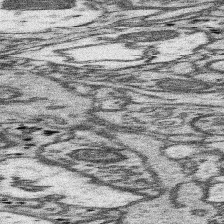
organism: Mouse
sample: Somatosensory cortex neuropil